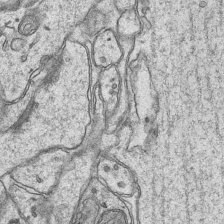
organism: Mouse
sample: CA1 Hippocampus